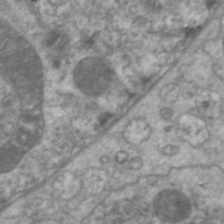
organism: C. elegans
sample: Pharynx